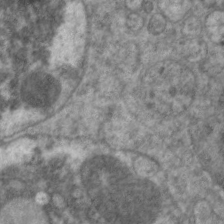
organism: C. elegans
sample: Pharynx